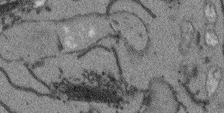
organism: Arabidopsis thaliana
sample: Root tip